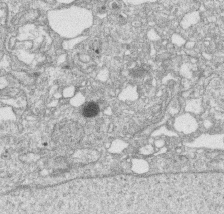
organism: Human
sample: HeLa cell HIV synapse